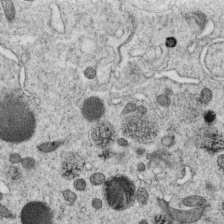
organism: C. elegans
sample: C. elegans oocyte; sperm cells